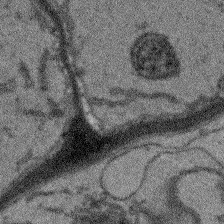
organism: Arabidopsis thaliana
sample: Root tip